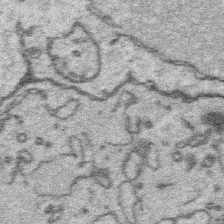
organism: Platynereis dumerilii